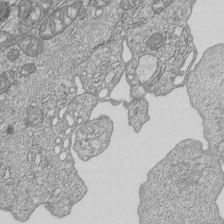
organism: Human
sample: MDA-MB-231 cells